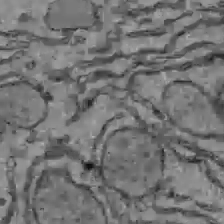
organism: C57BL Mouse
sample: Liver